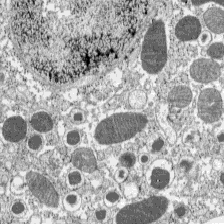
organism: C57BL Mouse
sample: Pancreatic islet